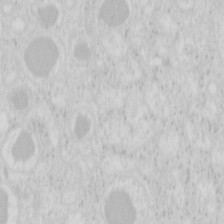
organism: Mouse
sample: Pancreas